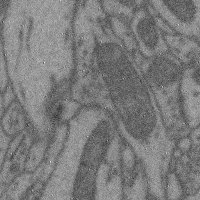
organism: Mouse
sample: Cerebral cortex